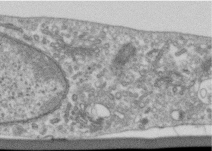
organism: Human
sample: Centriole in RPE cells